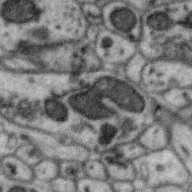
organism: Zebra finch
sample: Brain